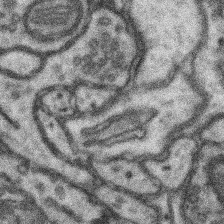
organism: Mouse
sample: Somatosensory cortex neuropil